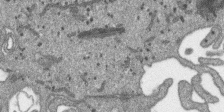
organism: Human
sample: Lung epithelial cells infected with SARS-CoV-2